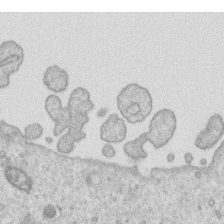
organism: Human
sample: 1205lu cells